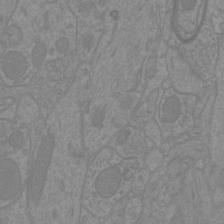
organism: Mouse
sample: Cortical neurons